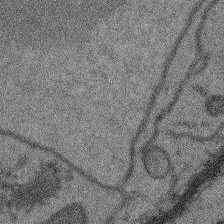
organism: Arabidopsis thaliana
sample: Root tip